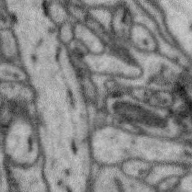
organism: Zebra finch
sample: Brain